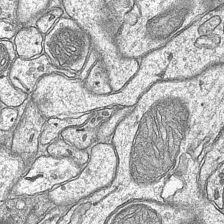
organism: Mouse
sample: CA1 Hippocampus